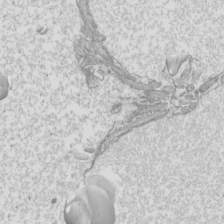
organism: Mouse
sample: Cilia; mouse epididymis